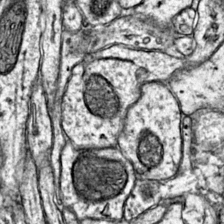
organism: Mouse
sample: Primary visual cortex